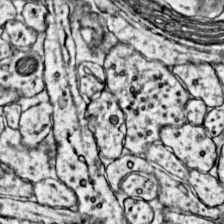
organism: Mouse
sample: Primary visual cortex